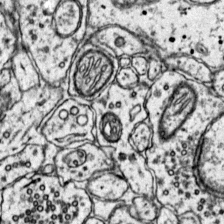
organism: Mouse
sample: Primary visual cortex